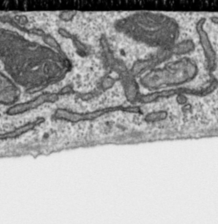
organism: Toxoplasma gondii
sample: Parasites in a vacuole inside a host cell